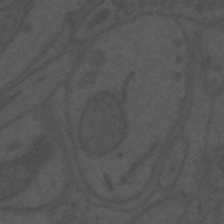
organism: Mouse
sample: Suprachiasmatic nucleus